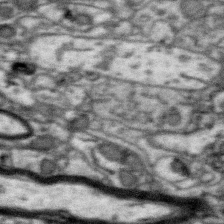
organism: Zebra finch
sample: Brain